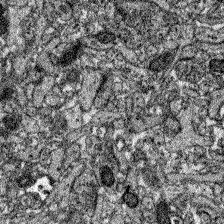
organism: Zebrafish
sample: Larval olfactory bulb